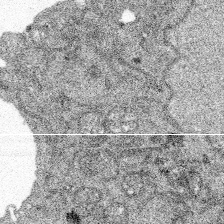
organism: Spongilla lacustris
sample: Multiple